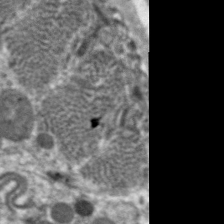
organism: C. elegans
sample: Pharynx